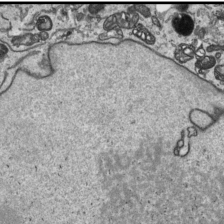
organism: Human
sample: Mitochondria in HCT116 cells